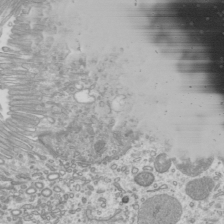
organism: Mouse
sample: Cilia; mouse epididymis